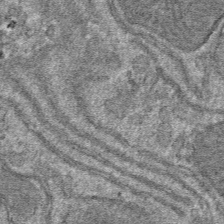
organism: Mouse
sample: Mouse hepatocytes